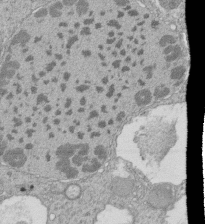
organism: Tetrahymena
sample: Cilia in tetrahymena